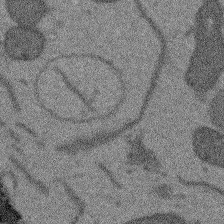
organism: Arabidopsis thaliana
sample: Root tip